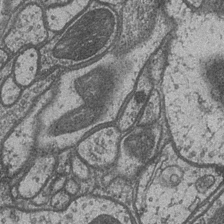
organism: Drosophila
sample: Optic medulla